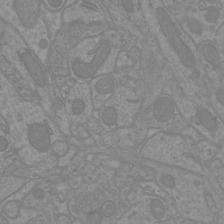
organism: Mouse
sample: Cortical neurons